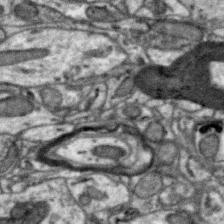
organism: Zebra finch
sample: Brain